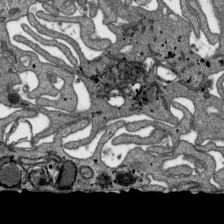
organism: Human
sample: Lung epithelial cells, uninfected (mock) control